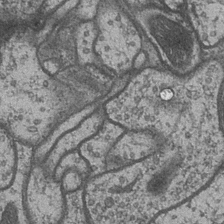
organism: Drosophila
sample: Optic medulla